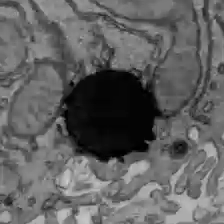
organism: C57BL Mouse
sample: Liver